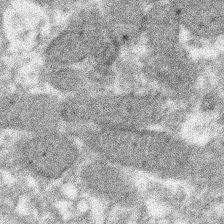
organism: Xenopus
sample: Cilia; centrioles in frog embryo cells